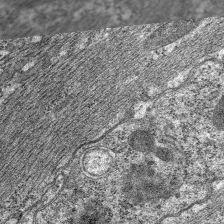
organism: C. elegans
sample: Pharynx